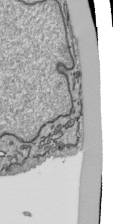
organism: Human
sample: Mitochondria in HCT116 cells